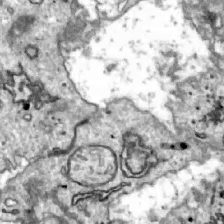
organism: Zebrafish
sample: Actinotrichia fibers